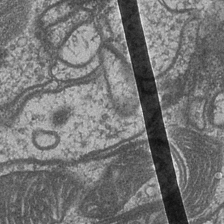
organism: Drosophila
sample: Optic medulla